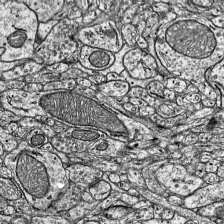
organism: Mouse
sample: Visual Cortex